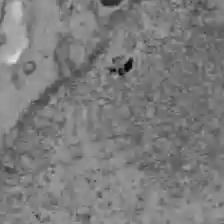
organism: C57BL Mouse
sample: Liver